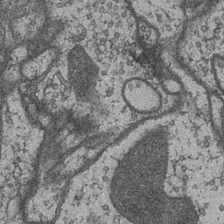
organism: Drosophila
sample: Optic medulla